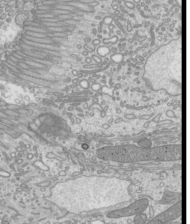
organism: Mouse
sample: Cilia; mouse epididymis